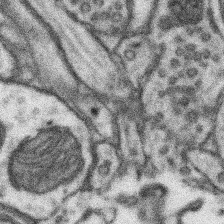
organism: Mouse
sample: Somatosensory cortex neuropil